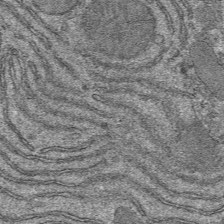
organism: Mouse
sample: Mouse hepatocytes